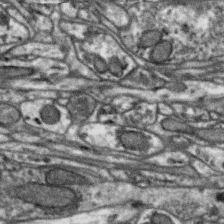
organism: Zebra finch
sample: Brain